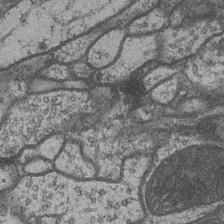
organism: Drosophila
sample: Optic medulla